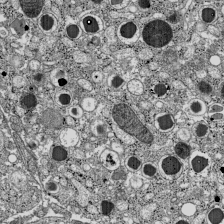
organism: C57BL Mouse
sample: Pancreatic islet